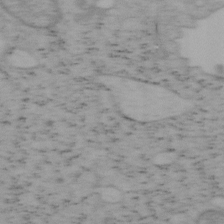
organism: Mouse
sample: OT-I killer T cells with ID8 ovarian cancer cells